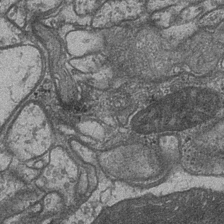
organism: Drosophila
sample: Optic medulla